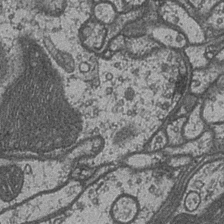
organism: Drosophila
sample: Optic medulla